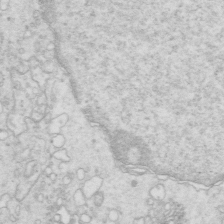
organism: Mouse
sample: Multiciliated cells